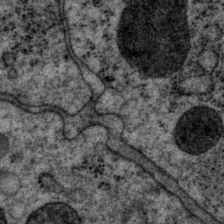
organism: P. pacificus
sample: Pharynx